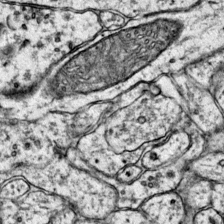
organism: Mouse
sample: Primary visual cortex